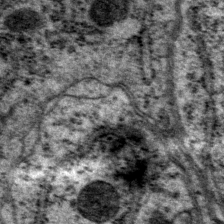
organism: P. pacificus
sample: Pharynx